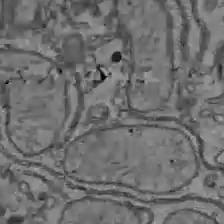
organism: C57BL Mouse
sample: Liver